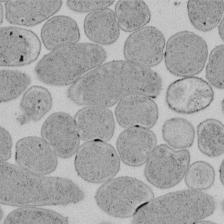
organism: E. coli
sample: Bacterial nucleoid